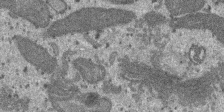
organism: Human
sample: Lung epithelial cells infected with SARS-CoV-2